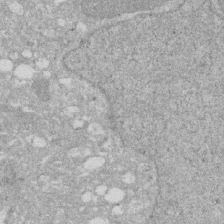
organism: Human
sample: HIV infected U937 cells